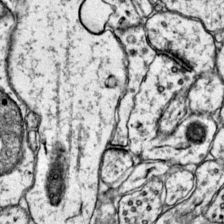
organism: Mouse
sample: Primary visual cortex